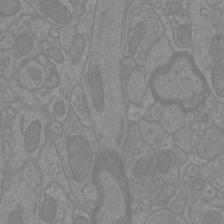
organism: Mouse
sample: Cortical neurons